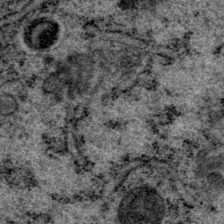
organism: P. pacificus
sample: Pharynx